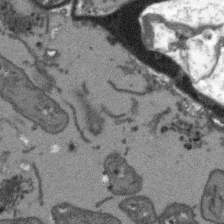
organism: Arabidopsis thaliana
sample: Root tip